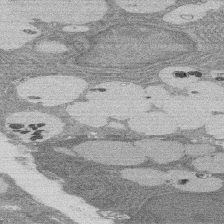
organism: Rat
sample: Salivary granule